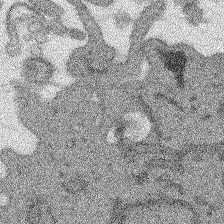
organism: Human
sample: HeLa cells